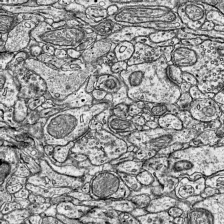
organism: Mouse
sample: Visual Cortex